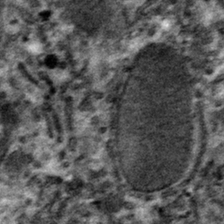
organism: Mouse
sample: Mouse hepatocytes